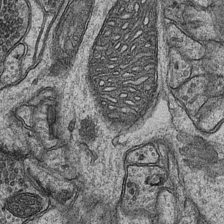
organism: Mouse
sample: CA1 Hippocampus